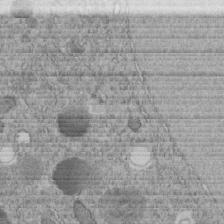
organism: C. elegans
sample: C. elegans embryo early stage